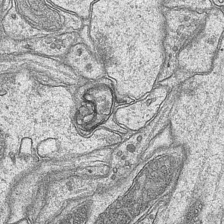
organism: Mouse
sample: CA1 Hippocampus